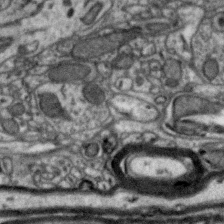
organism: Zebra finch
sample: Brain